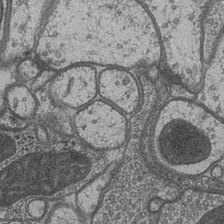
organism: Drosophila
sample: Optic medulla